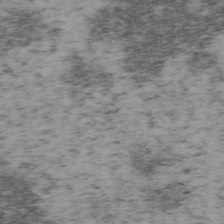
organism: Mouse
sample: OT-I killer T cells with ID8 ovarian cancer cells